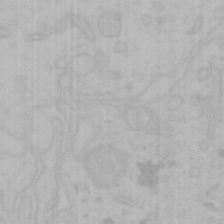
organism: Mouse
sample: Choroid plexus